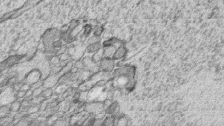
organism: Zebrafish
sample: synaptic ribbons in rod cells and cone cells